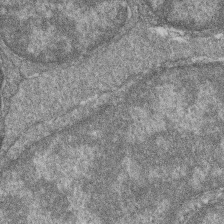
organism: Zebrafish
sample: Cilia; retinal pigment epithelium